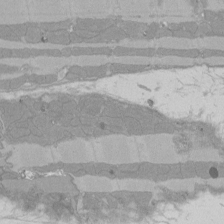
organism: Rat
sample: Left ventricle